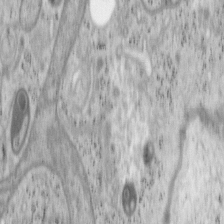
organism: Human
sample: HeLa cells